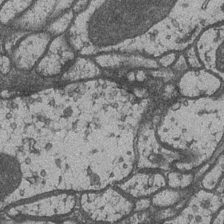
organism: Drosophila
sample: Optic medulla